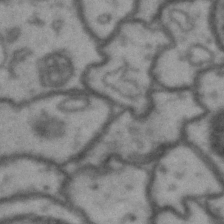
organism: Drosophila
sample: Brain